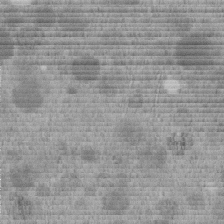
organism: C. elegans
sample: C. elegans embryo early stage